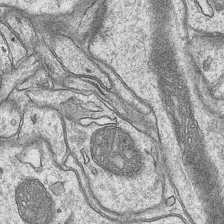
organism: Mouse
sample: CA1 Hippocampus